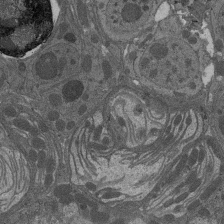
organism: Drosophila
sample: Antenna